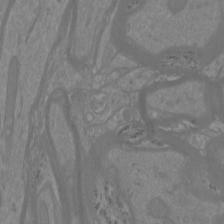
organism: Mouse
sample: Cortical neurons